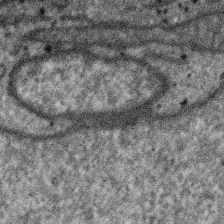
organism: Human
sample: Lung epithelial cells infected with SARS-CoV-2